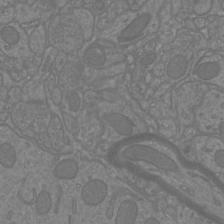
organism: Mouse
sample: Cortical neurons